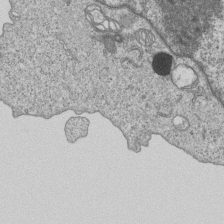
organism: Human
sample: MDA-MB-231 cells